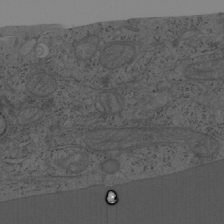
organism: Human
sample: HeLa cells